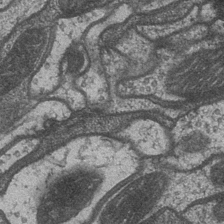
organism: Drosophila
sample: Optic medulla